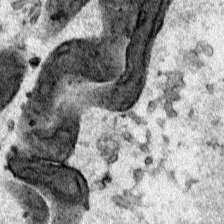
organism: Human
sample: Mitochondria in HCT116 cells